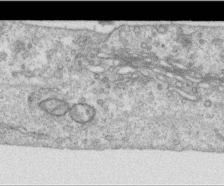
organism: Human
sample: Centriole in RPE cells